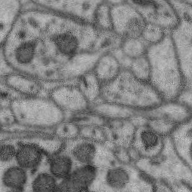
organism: Zebra finch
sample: Brain